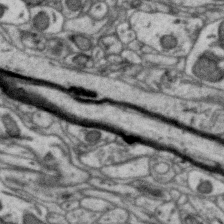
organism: Zebra finch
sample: Brain